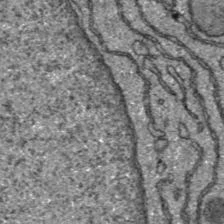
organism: C57BL Mouse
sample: Liver